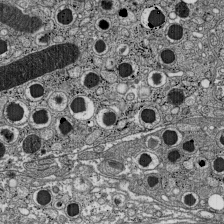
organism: C57BL Mouse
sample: Pancreatic islet